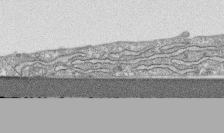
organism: Human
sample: CRL-1474